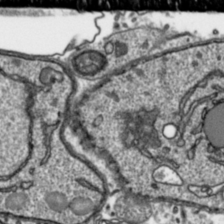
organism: Toxoplasma gondii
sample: Parasites in a vacuole inside a host cell